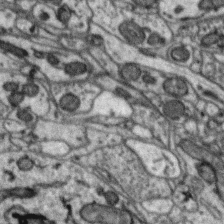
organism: Zebra finch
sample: Brain